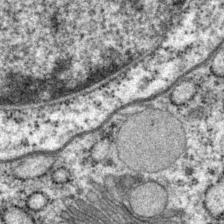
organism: P. pacificus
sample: Pharynx